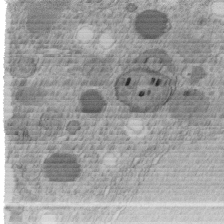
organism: C. elegans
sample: C. elegans embryo early stage